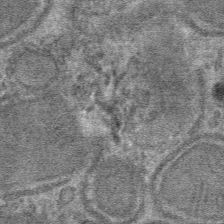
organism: Mouse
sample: Mouse hepatocytes